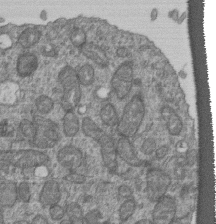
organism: Human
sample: Retinal organoid Rod and Cone cells